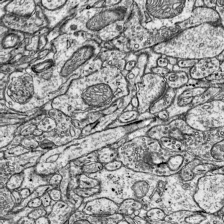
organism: Mouse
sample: Visual Cortex